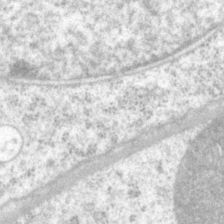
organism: P. pacificus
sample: Pharynx